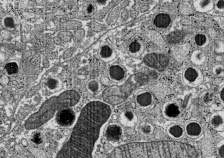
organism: C57BL Mouse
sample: Pancreatic islet